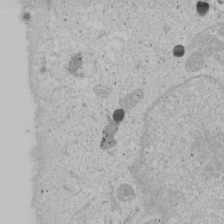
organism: Human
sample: Mitochondria in U2OS cells